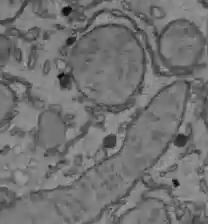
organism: C57BL Mouse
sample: Liver